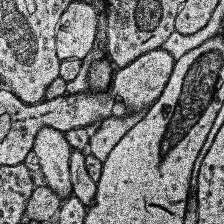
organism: Human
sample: Temporal Lobe